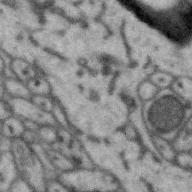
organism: Zebra finch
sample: Brain